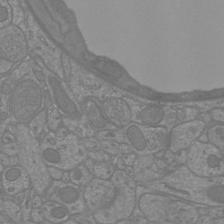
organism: Mouse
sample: Cortical neurons